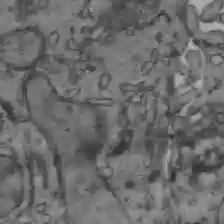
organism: C57BL Mouse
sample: Liver